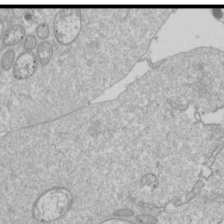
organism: Drosophila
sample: Cell division; meiosis; drosophila spermatocytes